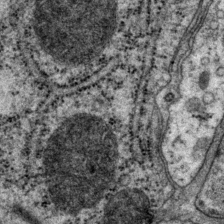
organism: P. pacificus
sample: Pharynx